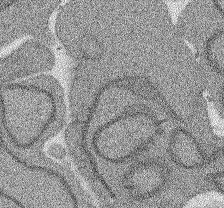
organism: Human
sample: HeLa cells